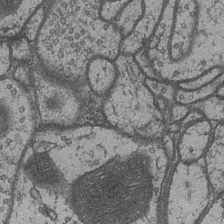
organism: Drosophila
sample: Optic medulla